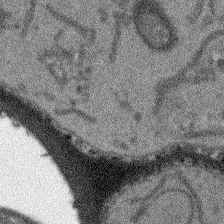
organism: Arabidopsis thaliana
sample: Root tip